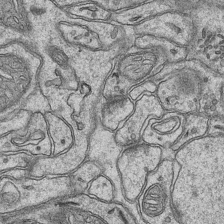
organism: Mouse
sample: CA1 Hippocampus